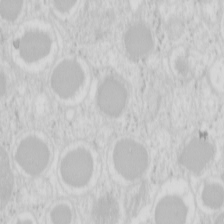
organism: Mouse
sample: Pancreas